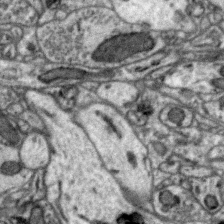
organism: Zebra finch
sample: Brain